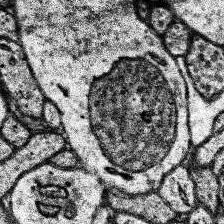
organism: Human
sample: Temporal Lobe